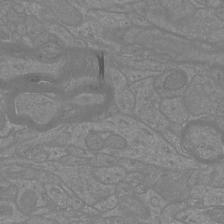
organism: Mouse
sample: Cortical neurons